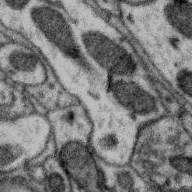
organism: Zebra finch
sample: Brain